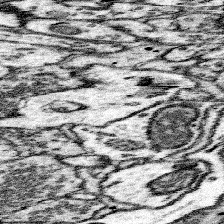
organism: Mouse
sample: Somatosensory cortex neuropil